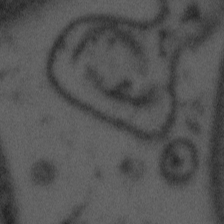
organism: Tuwongella immobilis